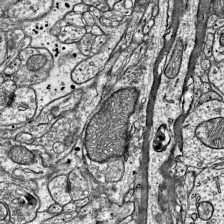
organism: Mouse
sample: Visual Cortex